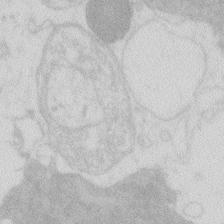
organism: Zebrafish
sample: Macrophage